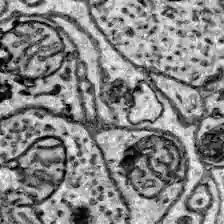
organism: Zebrafish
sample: Brain